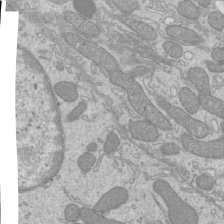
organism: Mouse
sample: Cilia; mouse epididymis